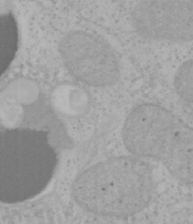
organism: Mouse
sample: OT-I killer T cells with ID8 ovarian cancer cells